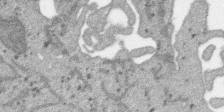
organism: Human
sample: Lung epithelial cells infected with SARS-CoV-2